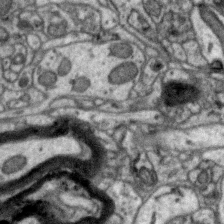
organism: Zebra finch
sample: Brain